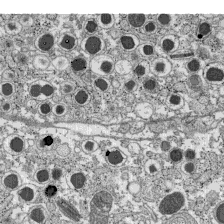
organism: C57BL Mouse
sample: Pancreatic islet